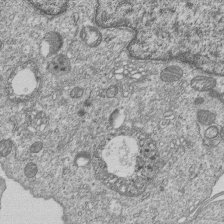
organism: Human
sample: MDA-MB-231 cells